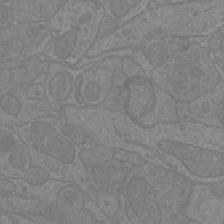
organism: Mouse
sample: Cortical neurons